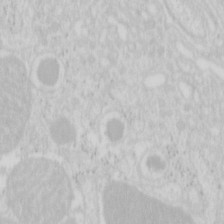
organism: Mouse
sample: Pancreas